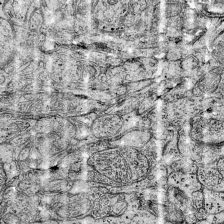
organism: Mouse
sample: Visual Cortex